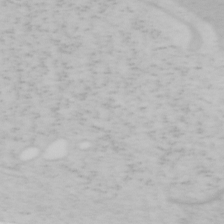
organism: Mouse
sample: OT-I killer T cells with ID8 ovarian cancer cells